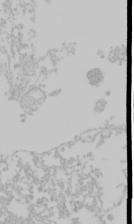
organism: Mouse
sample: Cancer cell death in ED-1 cells